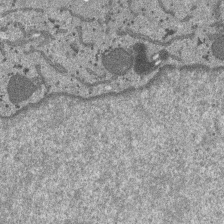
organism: Human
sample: Lung epithelial cells infected with SARS-CoV-2